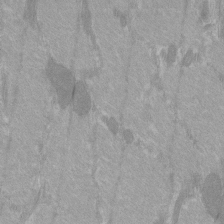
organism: C57BL Mouse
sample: Tibialis anterior muscle cell